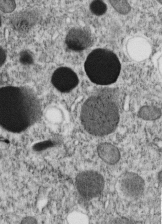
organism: C. elegans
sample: C. elegans embryo early stage